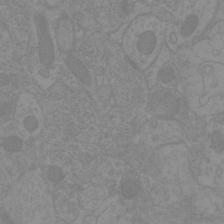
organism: Mouse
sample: Cortical neurons